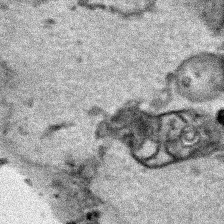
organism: Human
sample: Mitochondria in HCT116 cells